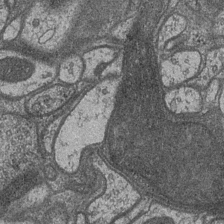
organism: Drosophila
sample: Optic medulla